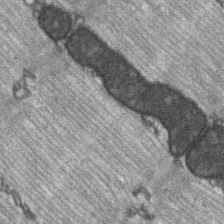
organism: C57BL Mouse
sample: Soleus